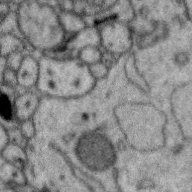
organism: Zebra finch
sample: Brain